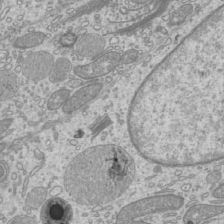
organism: Mouse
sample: Cilia; mouse epididymis